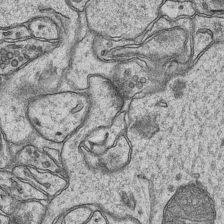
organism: Mouse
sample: CA1 Hippocampus